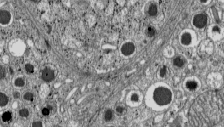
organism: C57BL Mouse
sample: Pancreatic islet